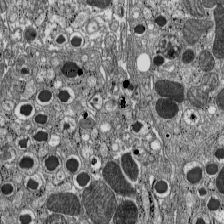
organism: C57BL Mouse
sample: Pancreatic islet